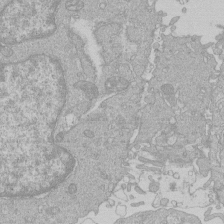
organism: Human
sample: Macrophage cells